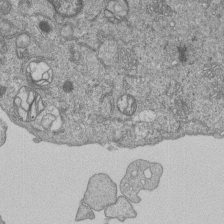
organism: Human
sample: MDA-MB-231 cells